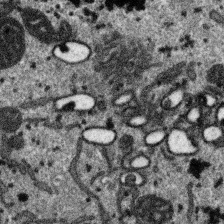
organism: Human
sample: Lung epithelial cells infected with SARS-CoV-2